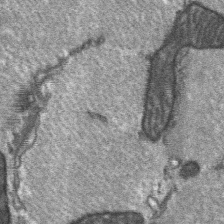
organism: C57BL Mouse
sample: Soleus